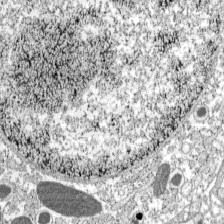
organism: C57BL Mouse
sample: Pancreatic islet